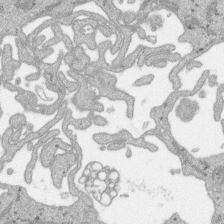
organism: Human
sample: Lung epithelial cells infected with SARS-CoV-2